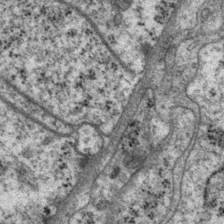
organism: P. pacificus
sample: Pharynx